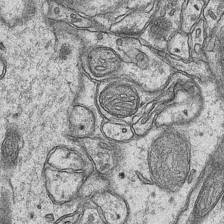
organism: Mouse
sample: CA1 Hippocampus